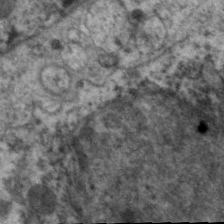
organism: C. elegans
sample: Pharynx